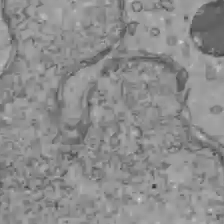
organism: C57BL Mouse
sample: Liver